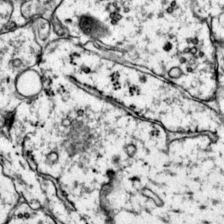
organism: Mouse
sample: Primary visual cortex